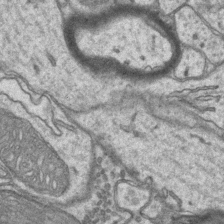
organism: Mouse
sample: CA1 Hippocampus